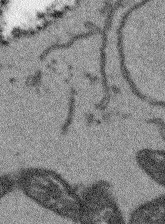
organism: Arabidopsis thaliana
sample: Root tip